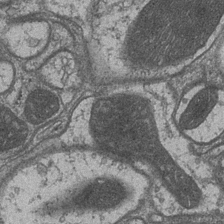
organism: Drosophila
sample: Optic medulla